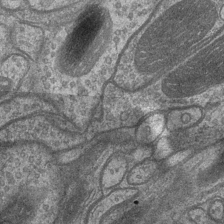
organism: Drosophila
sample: Optic medulla